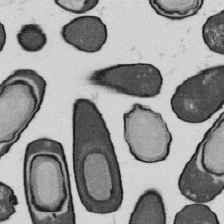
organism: B. subtilis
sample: Bacterial spore